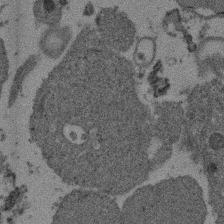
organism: Mouse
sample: Dividing mouse embryo 1 cell stage